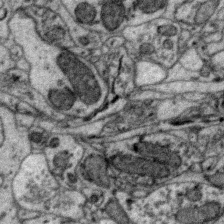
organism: Zebra finch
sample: Brain